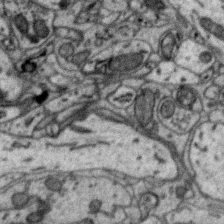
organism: Zebra finch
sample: Brain